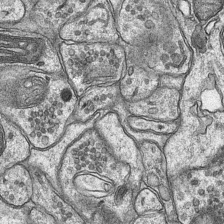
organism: Mouse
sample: CA1 Hippocampus